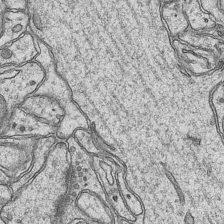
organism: Mouse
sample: CA1 Hippocampus